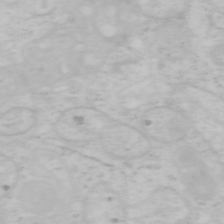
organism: Mouse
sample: OT-I killer T cells with ID8 ovarian cancer cells